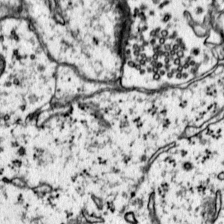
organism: Mouse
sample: Primary visual cortex